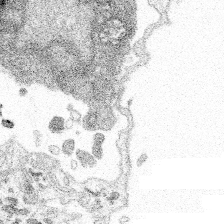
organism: Spongilla lacustris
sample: Multiple